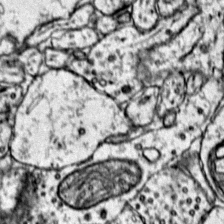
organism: Mouse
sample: Primary visual cortex